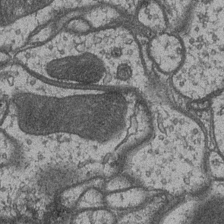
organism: Drosophila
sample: Optic medulla